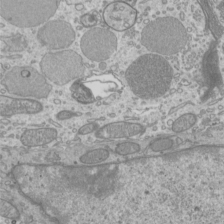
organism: Mouse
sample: Cilia; mouse epididymis